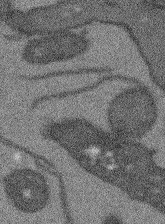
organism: Arabidopsis thaliana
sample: Root tip